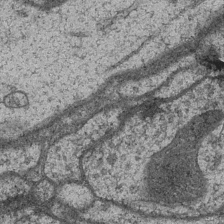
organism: Drosophila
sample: Optic medulla